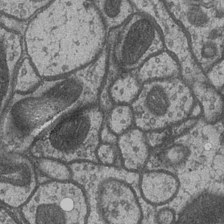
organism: Drosophila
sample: Optic medulla